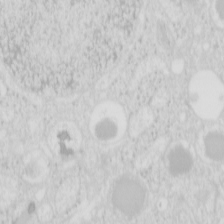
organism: Mouse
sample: Pancreas